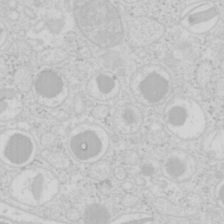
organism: Mouse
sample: Pancreas